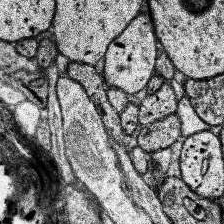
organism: Human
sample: Temporal Lobe